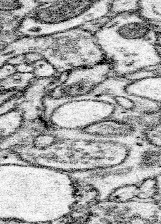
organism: Mouse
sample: Somatosensory cortex neuropil